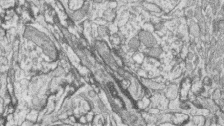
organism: Zebrafish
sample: synaptic ribbons in rod cells and cone cells